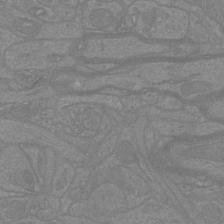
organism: Mouse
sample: Cortical neurons